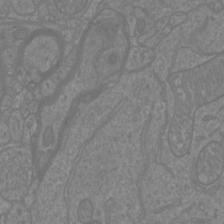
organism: Mouse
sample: Cortical neurons